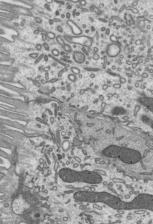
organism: Mouse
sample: Mouse epididymis efferent ductule cilia